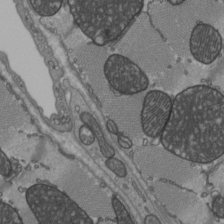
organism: C57BL Mouse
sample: Heart